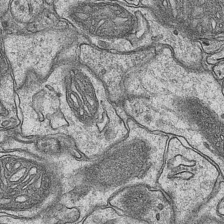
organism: Mouse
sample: CA1 Hippocampus